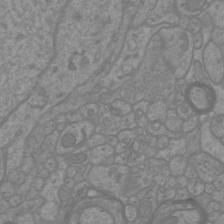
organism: Mouse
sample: Cortical neurons